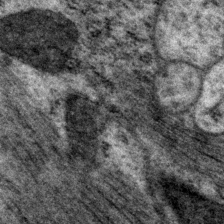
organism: P. pacificus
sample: Pharynx